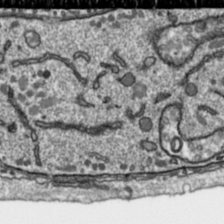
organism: Toxoplasma gondii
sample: Parasites in a vacuole inside a host cell